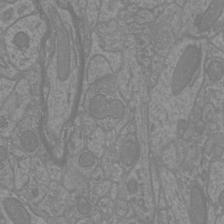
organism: Mouse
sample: Cortical neurons